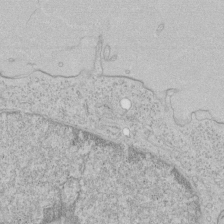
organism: Human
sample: Mitochondria in HCT116 cells